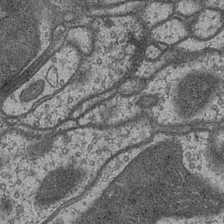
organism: Drosophila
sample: Optic medulla